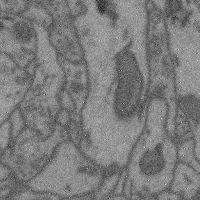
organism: Mouse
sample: Cerebral cortex